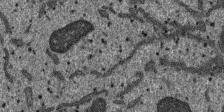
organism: Human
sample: Lung epithelial cells infected with SARS-CoV-2